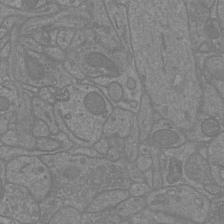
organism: Mouse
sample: Cortical neurons